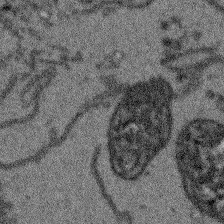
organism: Arabidopsis thaliana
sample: Root tip